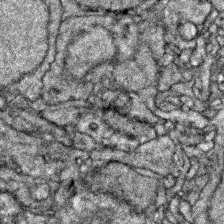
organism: Zebrafish